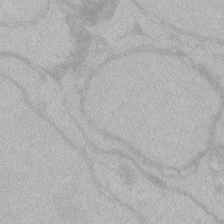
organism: Zebrafish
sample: Macrophage infected with Toxoplasma gondii